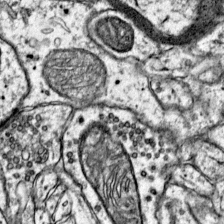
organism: Mouse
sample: Primary visual cortex